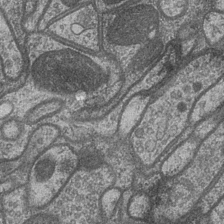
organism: Drosophila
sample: Optic medulla